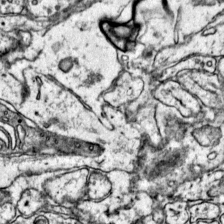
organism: Mouse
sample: Primary visual cortex